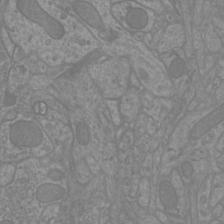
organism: Mouse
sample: Cortical neurons